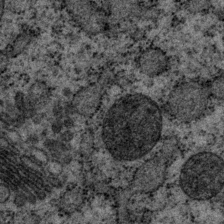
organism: P. pacificus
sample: Pharynx